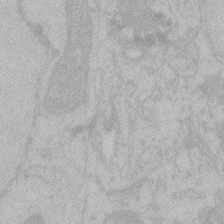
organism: Zebrafish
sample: Macrophage infected with Toxoplasma gondii